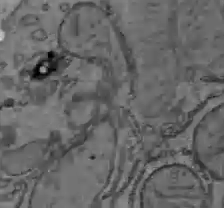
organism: C57BL Mouse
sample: Liver